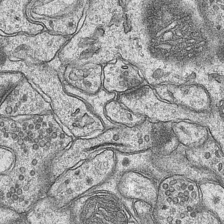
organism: Mouse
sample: CA1 Hippocampus